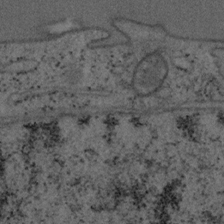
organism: Human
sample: HeLa cells